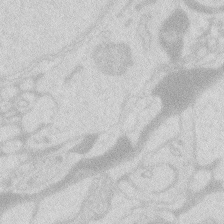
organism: Zebrafish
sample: Macrophage